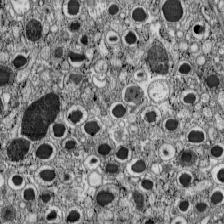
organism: C57BL Mouse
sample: Pancreatic islet